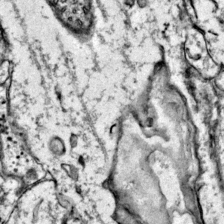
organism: Mouse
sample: Primary visual cortex